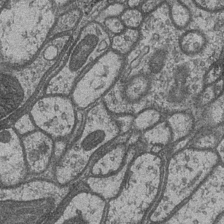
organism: Drosophila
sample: Optic medulla